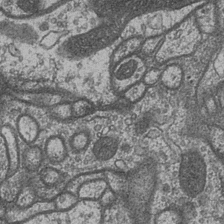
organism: Drosophila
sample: Optic medulla